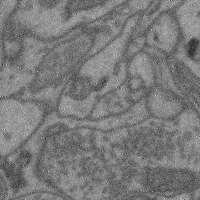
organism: Mouse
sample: Cerebral cortex